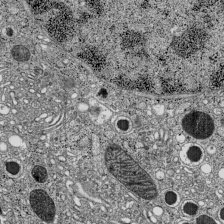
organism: C57BL Mouse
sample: Pancreatic islet